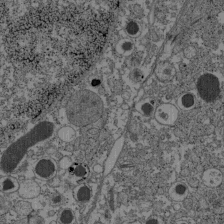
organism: C57BL Mouse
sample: Pancreatic islet